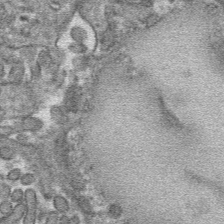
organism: Mouse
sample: Mouse hepatocytes